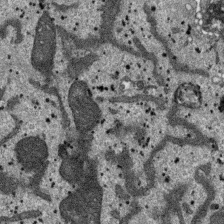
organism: Human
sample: Lung epithelial cells, uninfected (mock) control